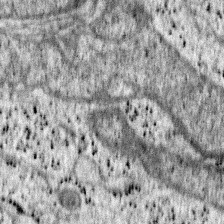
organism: Human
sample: HeLa cells